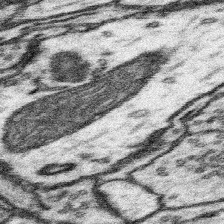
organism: Mouse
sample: Somatosensory cortex neuropil